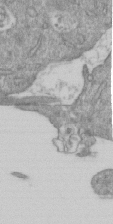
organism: Mouse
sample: ED-1 cell nuclei; centrioles